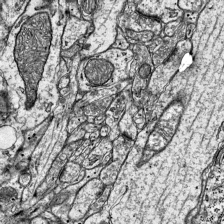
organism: Mouse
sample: Visual Cortex